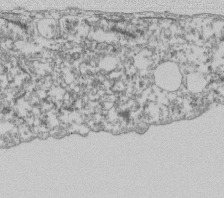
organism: Dictyostelium discoideum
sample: Dictyostelium multivesicular bodies